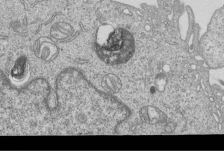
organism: Human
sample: MDA-MB-231 cells